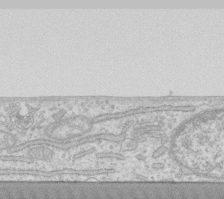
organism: Human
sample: Fibroblast cells